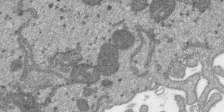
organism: Human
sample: Lung epithelial cells infected with SARS-CoV-2